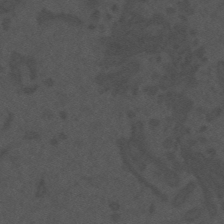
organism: Mouse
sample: Suprachiasmatic nucleus